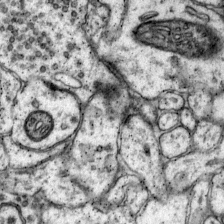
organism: Mouse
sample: Primary visual cortex